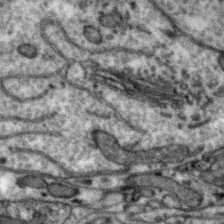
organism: Zebra finch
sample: Brain